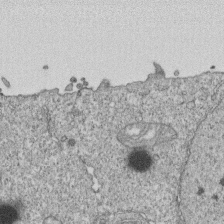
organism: Human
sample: HeLa cell HIV synapse